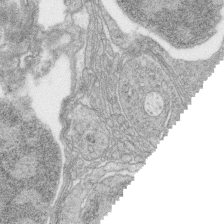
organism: Zebrafish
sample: synaptic ribbons in rod cells and cone cells